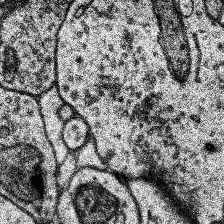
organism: Human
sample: Temporal Lobe